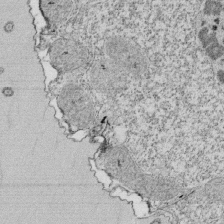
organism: Tetrahymena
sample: Cilia in tetrahymena